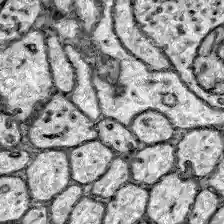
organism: Zebrafish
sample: Brain